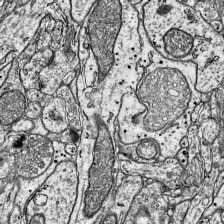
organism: Mouse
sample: Visual Cortex